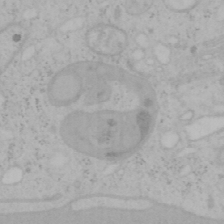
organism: Mouse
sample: OT-I killer T cells with ID8 ovarian cancer cells